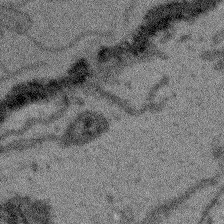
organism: Arabidopsis thaliana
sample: Root tip